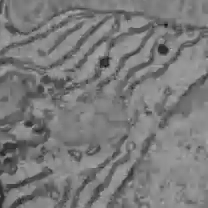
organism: C57BL Mouse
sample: Liver